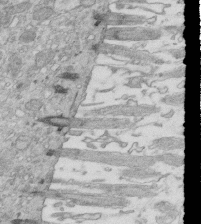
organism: Mouse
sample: Multiciliated cells